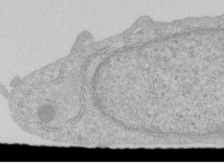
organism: Human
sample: Centriole in RPE cells